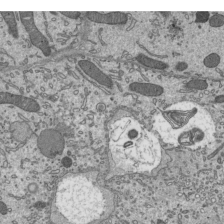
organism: Mouse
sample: Mouse epididymis efferent ductule cilia